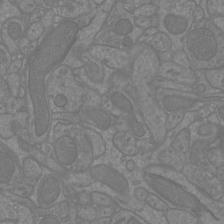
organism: Mouse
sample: Cortical neurons